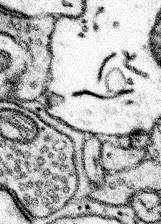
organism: Mouse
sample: Somatosensory cortex neuropil